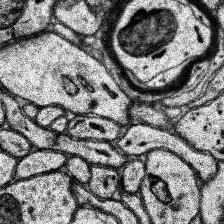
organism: Human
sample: Temporal Lobe